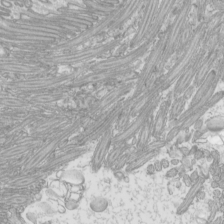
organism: Mouse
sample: Cilia; mouse epididymis